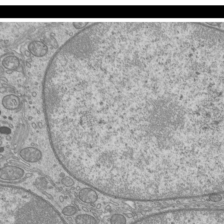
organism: Mouse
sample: Cilia; mouse epididymis